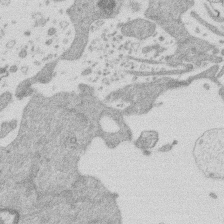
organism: Mouse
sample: Dividing mouse embryo 1 cell stage